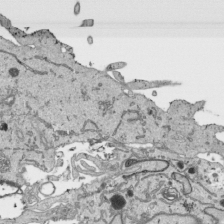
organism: Human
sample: Mitochondria in HCT116 cells